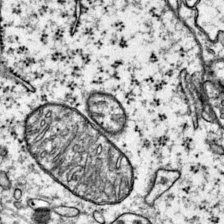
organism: Mouse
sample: Primary visual cortex